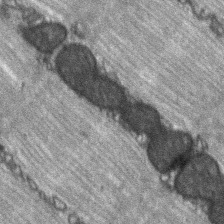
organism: C57BL Mouse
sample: Soleus